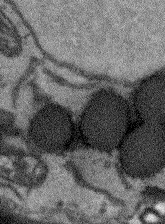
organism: Arabidopsis thaliana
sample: Root tip